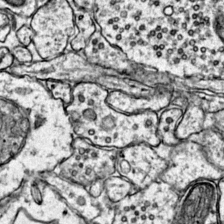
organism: Mouse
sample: Primary visual cortex